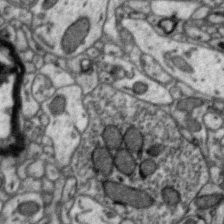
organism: Zebra finch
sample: Brain